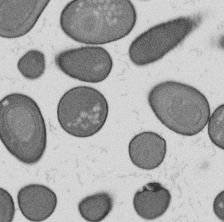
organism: B. subtilis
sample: Bacterial spore